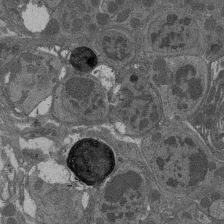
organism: Drosophila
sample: Antenna